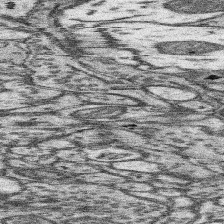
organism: Mouse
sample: Somatosensory cortex neuropil